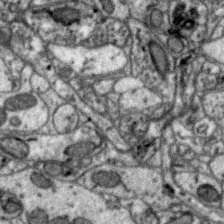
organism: Zebra finch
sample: Brain